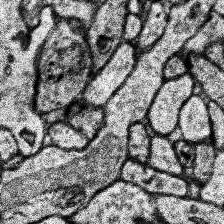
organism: Human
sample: Temporal Lobe